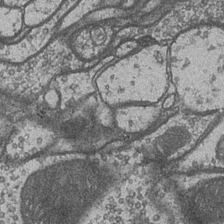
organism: Drosophila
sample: Optic medulla